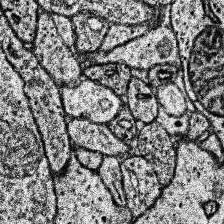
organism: Human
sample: Temporal Lobe